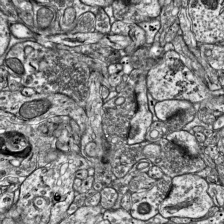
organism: Mouse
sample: Visual Cortex